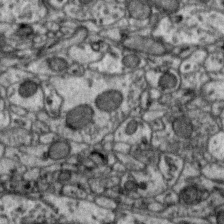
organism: Zebra finch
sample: Brain